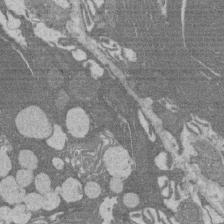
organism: Rat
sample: Salivary granule